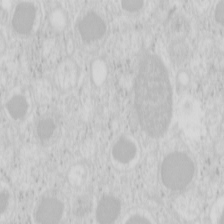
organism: Mouse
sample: Pancreas